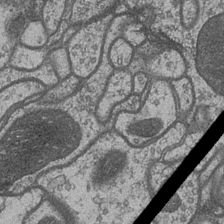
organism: Drosophila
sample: Optic medulla